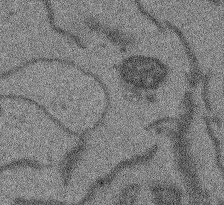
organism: Arabidopsis thaliana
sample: Root tip